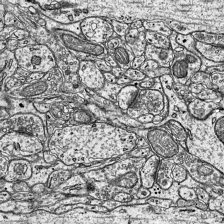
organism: Mouse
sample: Visual Cortex